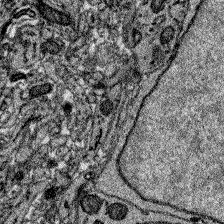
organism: Zebrafish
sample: Larval olfactory bulb